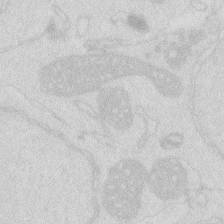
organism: Zebrafish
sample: Macrophage